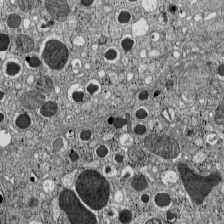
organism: C57BL Mouse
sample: Pancreatic islet